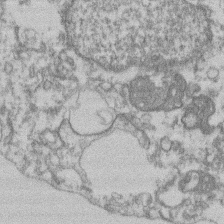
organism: Mouse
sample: T cell stromal cell synapse